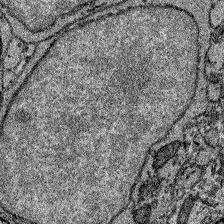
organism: Zebrafish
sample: Larval olfactory bulb